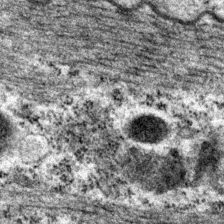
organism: P. pacificus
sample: Pharynx